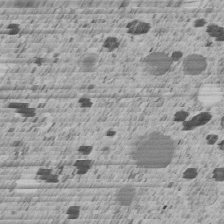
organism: C. elegans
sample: C. elegans embryo early stage